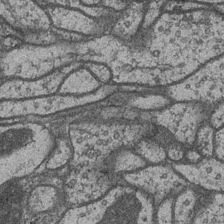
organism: Drosophila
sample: Optic medulla